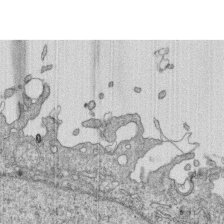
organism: Human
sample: HeLa cell HIV synapse